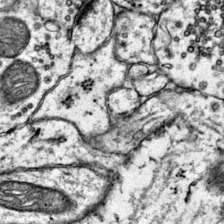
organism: Mouse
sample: Primary visual cortex